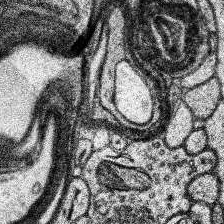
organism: Human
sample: Temporal Lobe